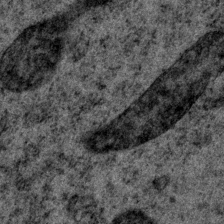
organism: P. pacificus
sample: Pharynx